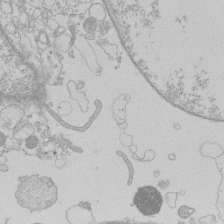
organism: Human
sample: Macrophage cells